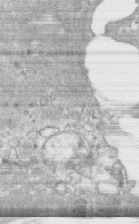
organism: Human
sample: CRL-1474